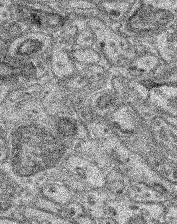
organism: Mouse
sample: Retina